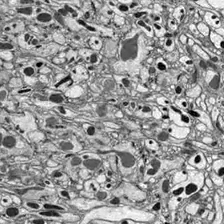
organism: Drosophila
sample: Optic lobe